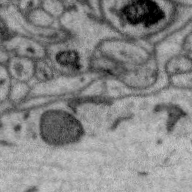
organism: Zebra finch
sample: Brain